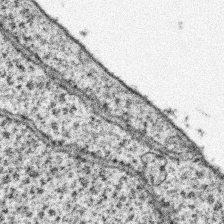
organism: Human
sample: HeLa cells